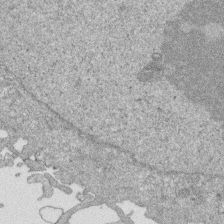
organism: Human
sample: HeLa cell HIV synapse